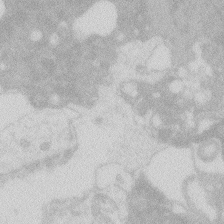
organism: Zebrafish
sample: Macrophage